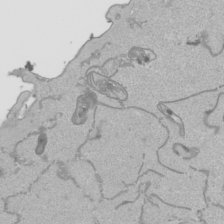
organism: Human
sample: Mitochondria in HCT116 cells